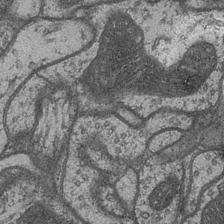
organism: Drosophila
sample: Optic medulla